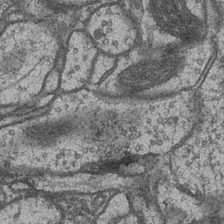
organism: Drosophila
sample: Optic medulla